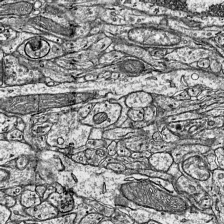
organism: Mouse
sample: Visual Cortex